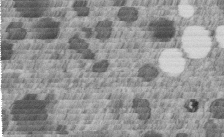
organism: C. elegans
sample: C. elegans embryo early stage